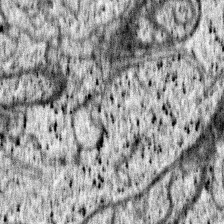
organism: Human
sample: HeLa cells